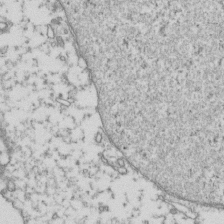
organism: Human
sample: Activated Jurkat CD4+ T cells